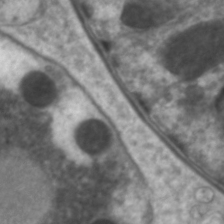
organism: C. elegans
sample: Pharynx